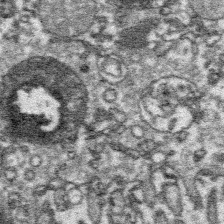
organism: Platynereis dumerilii